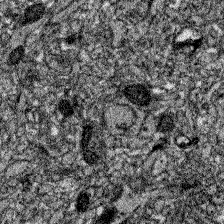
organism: Zebrafish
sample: Larval olfactory bulb